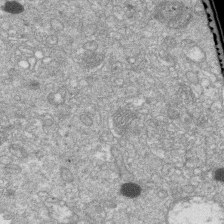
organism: Human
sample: HeLa cell HIV synapse